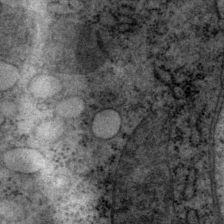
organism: P. pacificus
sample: Pharynx